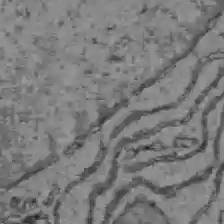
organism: C57BL Mouse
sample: Liver